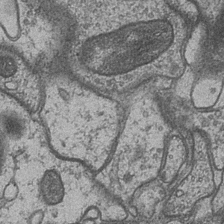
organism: Drosophila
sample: Optic medulla